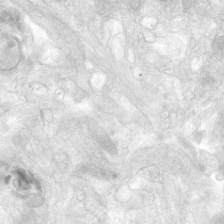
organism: Human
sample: Neocortex